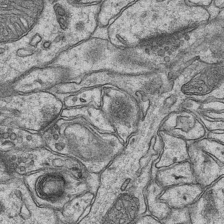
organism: Mouse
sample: CA1 Hippocampus